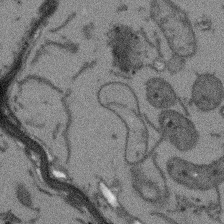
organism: Arabidopsis thaliana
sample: Root tip